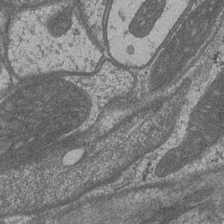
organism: Drosophila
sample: Optic medulla